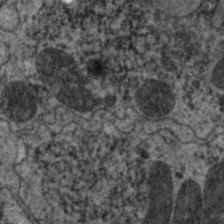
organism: C. elegans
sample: Pharynx